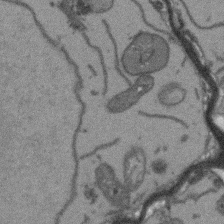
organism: Arabidopsis thaliana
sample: Root tip